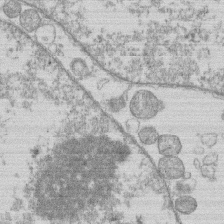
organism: Human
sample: Macrophage cells